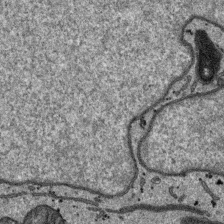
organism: Human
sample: Lung epithelial cells, uninfected (mock) control